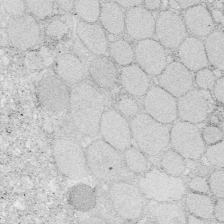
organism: Zebrafish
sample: Whole-Brain